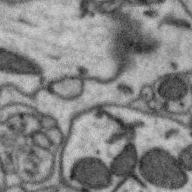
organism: Zebra finch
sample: Brain